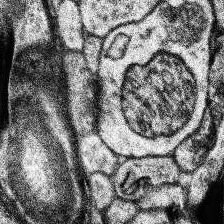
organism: Human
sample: Temporal Lobe